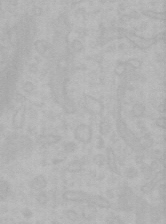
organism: Mouse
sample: Choroid plexus